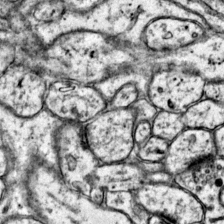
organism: Mouse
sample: Primary visual cortex